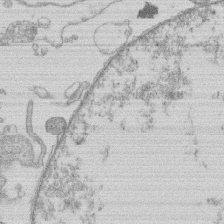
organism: Human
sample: Macrophage cells